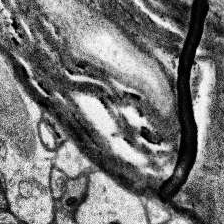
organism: Human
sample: Temporal Lobe